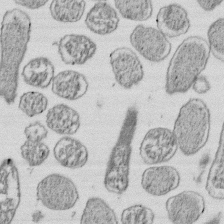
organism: E. coli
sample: Bacterial nucleoid